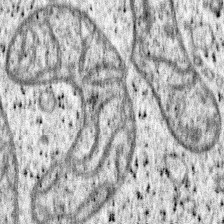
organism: Human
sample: HeLa cells